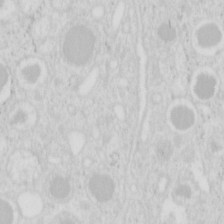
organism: Mouse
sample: Pancreas